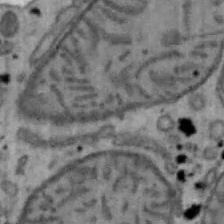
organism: Mouse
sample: Liver